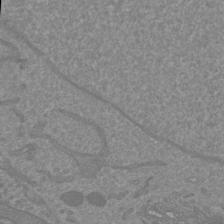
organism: Mouse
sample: Cortical neurons